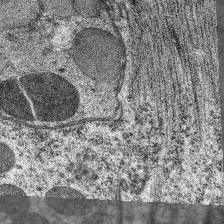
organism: C. elegans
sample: Pharynx